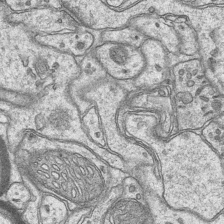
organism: Mouse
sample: CA1 Hippocampus